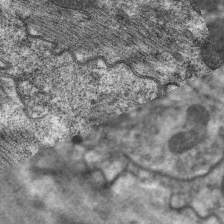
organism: C. elegans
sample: Pharynx